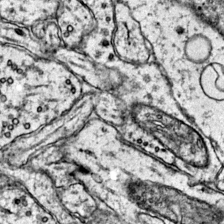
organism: Mouse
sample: Primary visual cortex